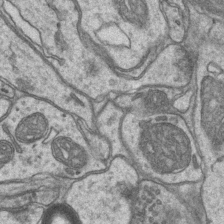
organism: Mouse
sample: CA1 Hippocampus